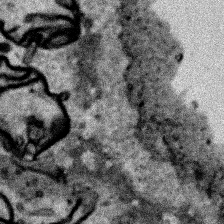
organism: Human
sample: Mitochondria in HCT116 cells